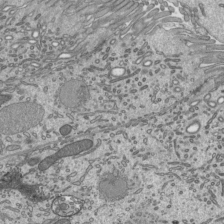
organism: Mouse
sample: Mouse epididymis efferent ductule cilia